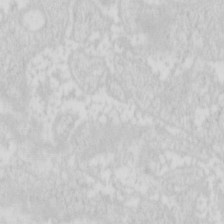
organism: Mouse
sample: Pancreas